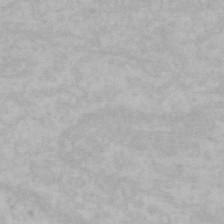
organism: Mouse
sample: Choroid plexus